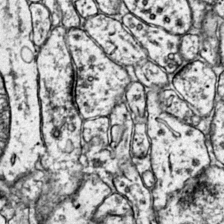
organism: Mouse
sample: Primary visual cortex